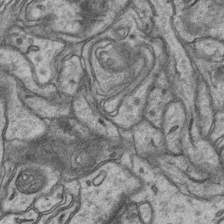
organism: Mouse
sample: CA1 Hippocampus